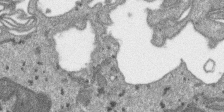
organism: Human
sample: Lung epithelial cells infected with SARS-CoV-2